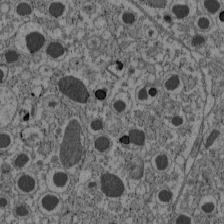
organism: C57BL Mouse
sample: Pancreatic islet